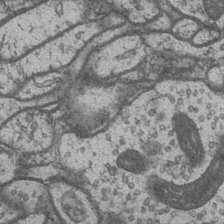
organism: Drosophila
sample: Optic medulla